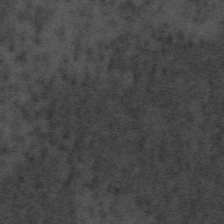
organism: Tuwongella immobilis